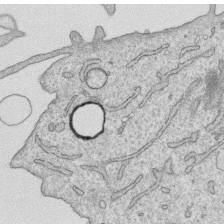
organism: Human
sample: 1205lu cells